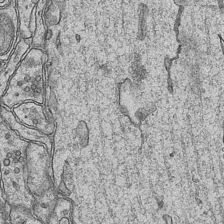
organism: Mouse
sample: CA1 Hippocampus